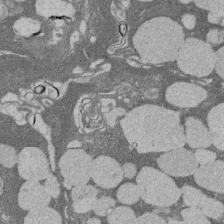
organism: Rat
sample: Salivary granule